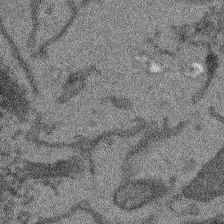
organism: Arabidopsis thaliana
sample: Root tip